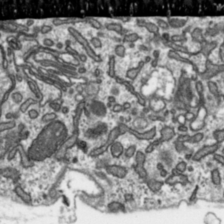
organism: Toxoplasma gondii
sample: Parasites in a vacuole inside a host cell